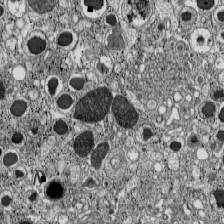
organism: C57BL Mouse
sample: Pancreatic islet